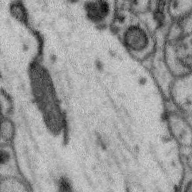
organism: Zebra finch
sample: Brain